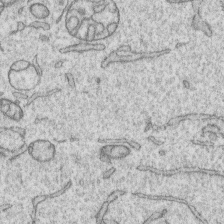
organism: Human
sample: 1205lu cells